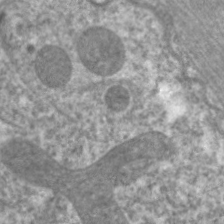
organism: C. elegans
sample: Pharynx